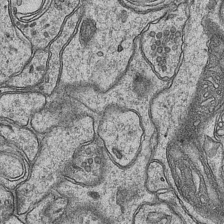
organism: Mouse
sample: CA1 Hippocampus